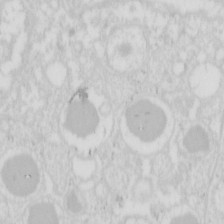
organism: Mouse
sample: Pancreas